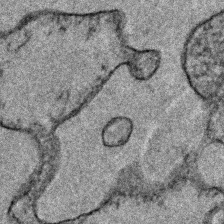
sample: Trachea